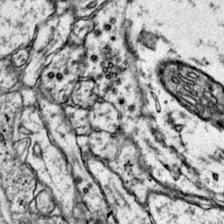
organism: Mouse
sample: Primary visual cortex